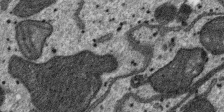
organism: Human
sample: Lung epithelial cells, uninfected (mock) control